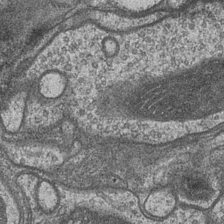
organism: Drosophila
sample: Optic medulla